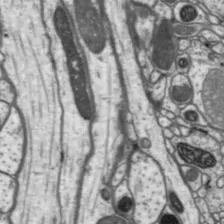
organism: Drosophila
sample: Protocerebral bridge